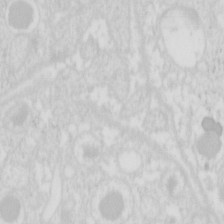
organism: Mouse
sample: Pancreas